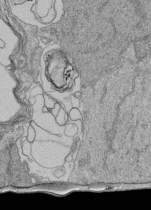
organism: Human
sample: Retinal organoid Rod and Cone cells